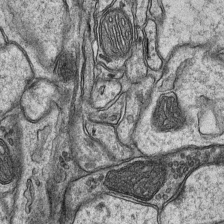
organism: Mouse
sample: CA1 Hippocampus